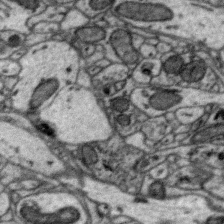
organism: Zebra finch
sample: Brain